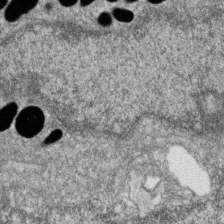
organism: Zebrafish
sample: Cilia; retinal pigment epithelium